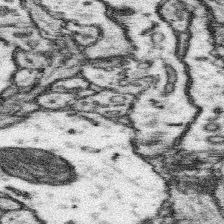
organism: Mouse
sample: Somatosensory cortex neuropil